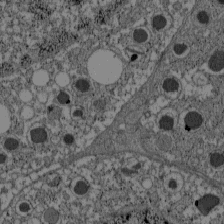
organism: C57BL Mouse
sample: Pancreatic islet